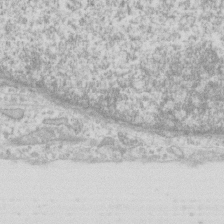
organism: Human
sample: Fibroblast cells